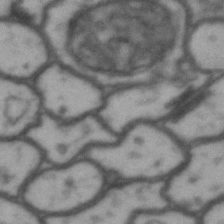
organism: Drosophila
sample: Brain